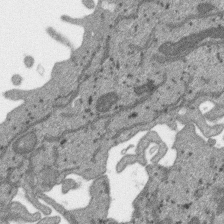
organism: Human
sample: Lung epithelial cells infected with SARS-CoV-2